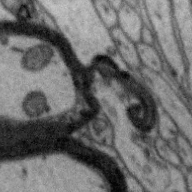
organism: Zebra finch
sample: Brain